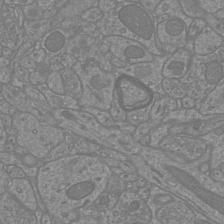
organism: Mouse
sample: Cortical neurons